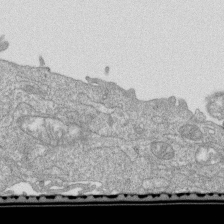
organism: Human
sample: HeLa cell HIV synapse